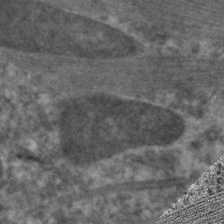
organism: C. elegans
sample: Pharynx